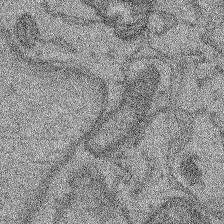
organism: Human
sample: HeLa cells